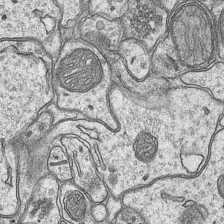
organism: Mouse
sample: CA1 Hippocampus